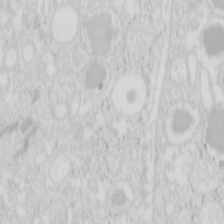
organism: Mouse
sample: Pancreas